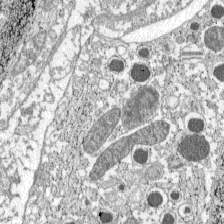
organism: C57BL Mouse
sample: Pancreatic islet